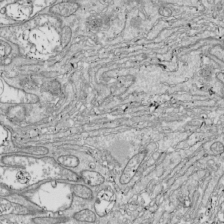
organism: Drosophila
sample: Cell division; meiosis; drosophila spermatocytes